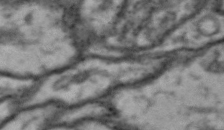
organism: Drosophila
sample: Brain